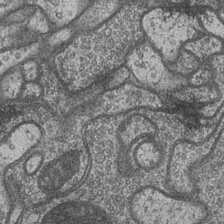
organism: Drosophila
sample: Optic medulla